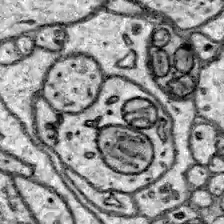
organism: Zebrafish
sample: Brain